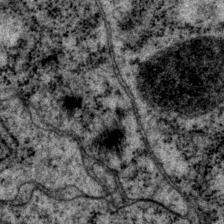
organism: P. pacificus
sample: Pharynx